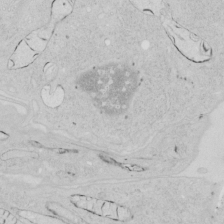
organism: Human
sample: Mitochondria in HCT116 cells